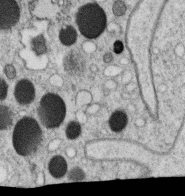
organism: C. elegans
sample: C. elegans oocyte; sperm cells